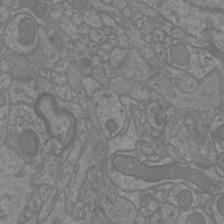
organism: Mouse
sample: Cortical neurons